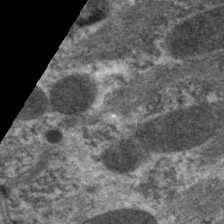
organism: C. elegans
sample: Pharynx